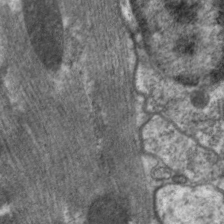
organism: C. elegans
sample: Pharynx